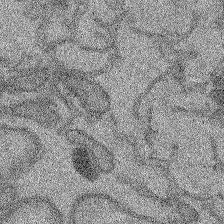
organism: Human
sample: HeLa cells